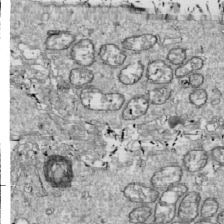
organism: Drosophila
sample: Cell division; meiosis; drosophila spermatocytes